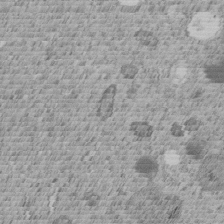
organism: C. elegans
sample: C. elegans embryo early stage